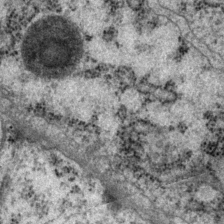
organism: P. pacificus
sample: Pharynx